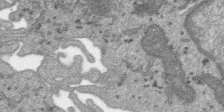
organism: Human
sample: Lung epithelial cells infected with SARS-CoV-2